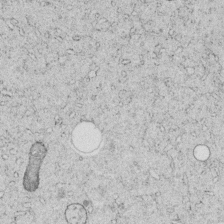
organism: C. elegans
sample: C. elegans embryo early stage